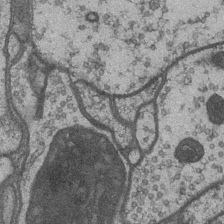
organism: Drosophila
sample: Optic medulla